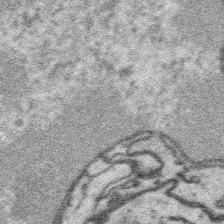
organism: Platynereis dumerilii